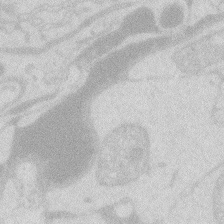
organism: Zebrafish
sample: Macrophage